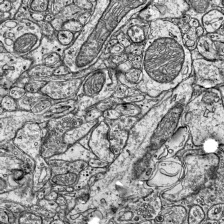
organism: Mouse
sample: Visual Cortex